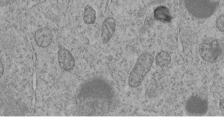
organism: C. elegans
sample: C. elegans embryo early stage